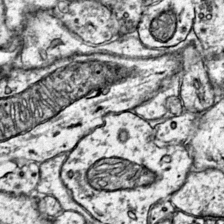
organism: Mouse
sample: Primary visual cortex